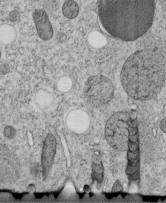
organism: C. elegans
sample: C. elegans embryo early stage